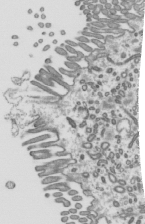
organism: Mouse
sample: Mouse epididymis efferent ductule cilia